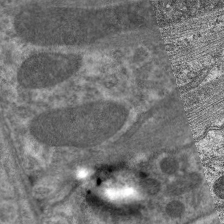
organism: C. elegans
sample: Pharynx